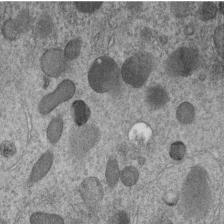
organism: C. elegans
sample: C. elegans embryo early stage